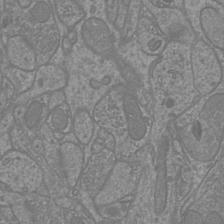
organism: Mouse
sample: Cortical neurons